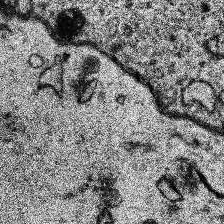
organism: Human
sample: Temporal Lobe